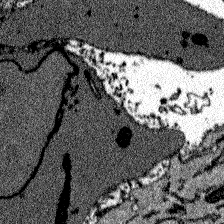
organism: Zebrafish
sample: Larval olfactory bulb